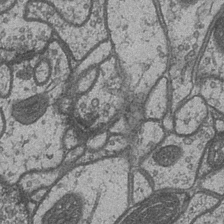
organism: Drosophila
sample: Optic medulla